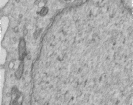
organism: Human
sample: Centriole in RPE cells